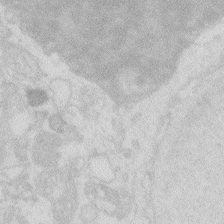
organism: Zebrafish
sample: Macrophage